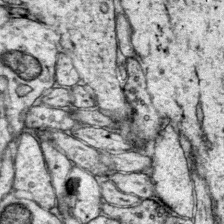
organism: Mouse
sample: Primary visual cortex